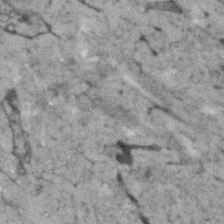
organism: Human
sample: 1205lu cells